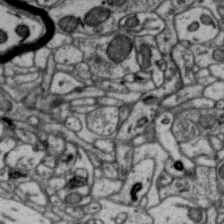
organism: Zebra finch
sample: Brain